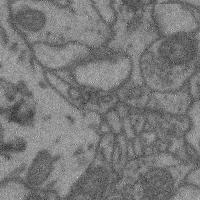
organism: Mouse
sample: Cerebral cortex